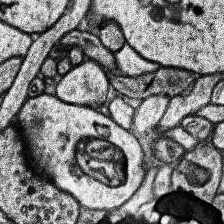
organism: Human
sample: Temporal Lobe